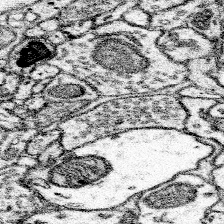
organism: Mouse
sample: Somatosensory cortex neuropil